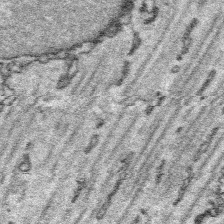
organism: Platynereis dumerilii